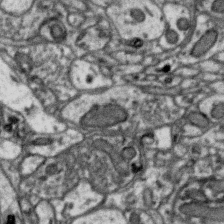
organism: Zebra finch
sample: Brain